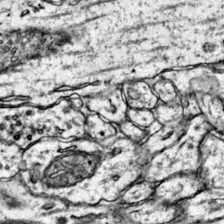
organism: Mouse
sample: Primary visual cortex